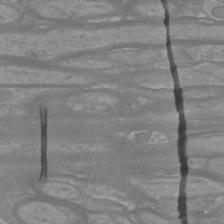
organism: Mouse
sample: Cortical neurons